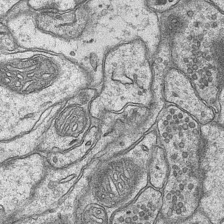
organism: Mouse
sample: CA1 Hippocampus